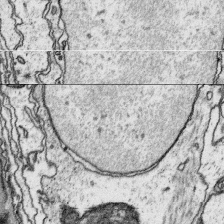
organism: Platynereis dumerilii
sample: Parapodia